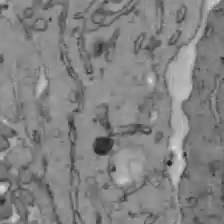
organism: C57BL Mouse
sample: Liver